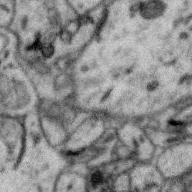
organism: Zebra finch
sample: Brain